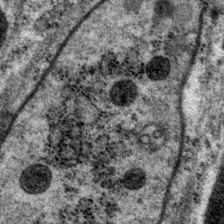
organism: P. pacificus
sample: Pharynx